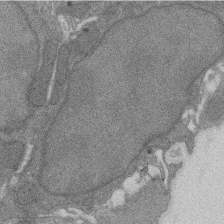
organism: Rat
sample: Salivary granule